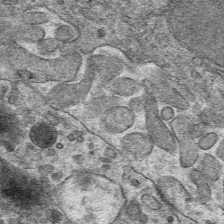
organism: Mouse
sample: Mouse hepatocytes